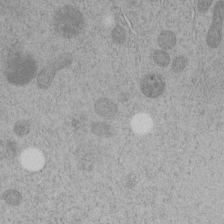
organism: C. elegans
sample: C. elegans embryo early stage